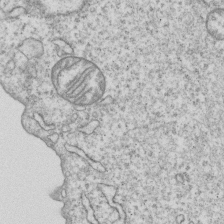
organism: Human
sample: MDA-MB-231 cells